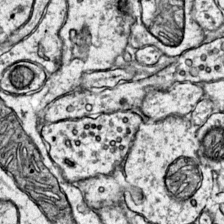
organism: Mouse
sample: Primary visual cortex